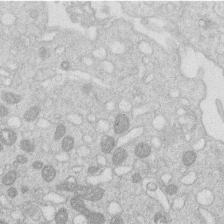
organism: Human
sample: Macrophage cells